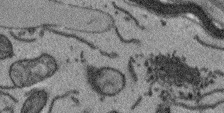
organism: Arabidopsis thaliana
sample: Root tip